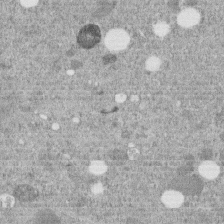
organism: C. elegans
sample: C. elegans embryo early stage